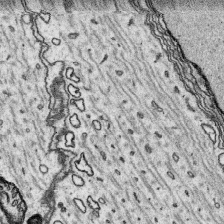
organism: Platynereis dumerilii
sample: Parapodia